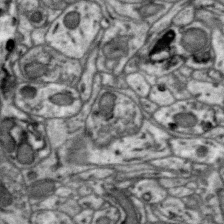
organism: Zebra finch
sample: Brain